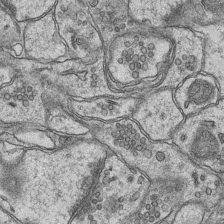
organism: Mouse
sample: CA1 Hippocampus